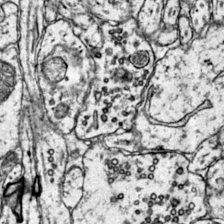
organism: Mouse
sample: Primary visual cortex